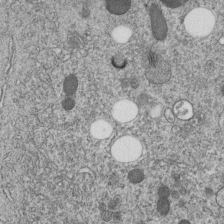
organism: C. elegans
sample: C. elegans embryo early stage